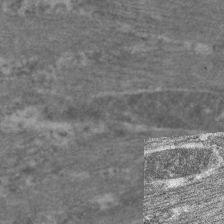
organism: C. elegans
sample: Pharynx